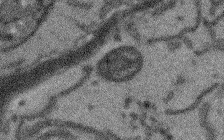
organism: Arabidopsis thaliana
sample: Root tip